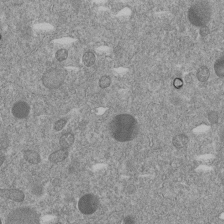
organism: C. elegans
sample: C. elegans embryo early stage